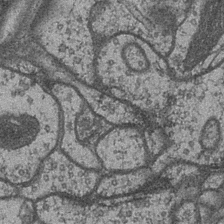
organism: Drosophila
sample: Optic medulla